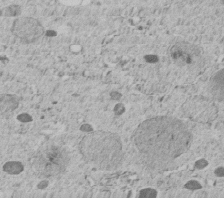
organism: C. elegans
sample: C. elegans embryo early stage